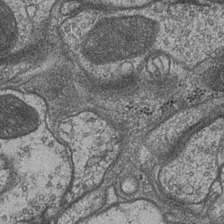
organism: Drosophila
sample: Optic medulla